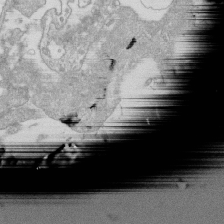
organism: Mouse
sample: Macrophages